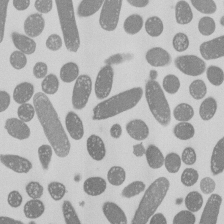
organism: E. coli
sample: Bacterial nucleoid